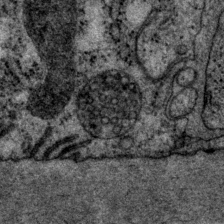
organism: P. pacificus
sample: Pharynx